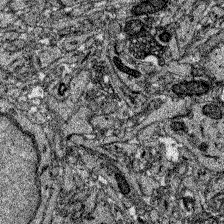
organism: Zebrafish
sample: Larval olfactory bulb